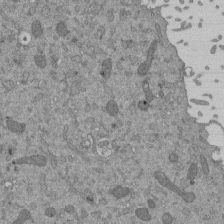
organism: Mouse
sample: ED-1 cell nuclei; centrioles